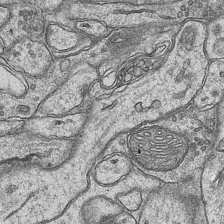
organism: Mouse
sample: CA1 Hippocampus